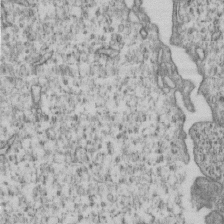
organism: Human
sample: MDA-MB-231 cells